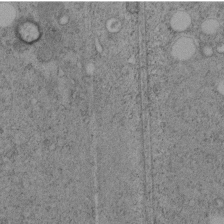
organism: C. elegans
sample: C. elegans embryo early stage